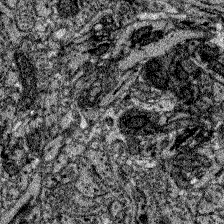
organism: Zebrafish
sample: Larval olfactory bulb